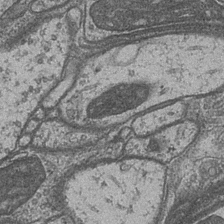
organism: Drosophila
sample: Optic medulla